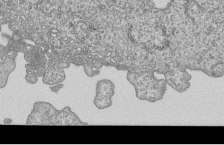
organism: Human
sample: MDA-MB-231 cells